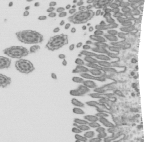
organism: Mouse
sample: Mouse epididymis efferent ductule cilia